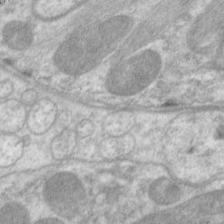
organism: C. elegans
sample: Pharynx